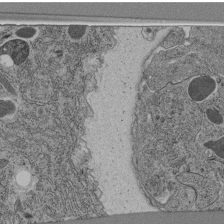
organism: C. elegans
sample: C. elegans pharynx